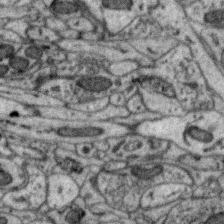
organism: Zebra finch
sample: Brain